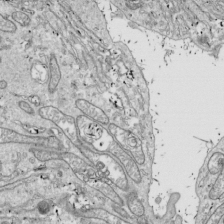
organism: Drosophila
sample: Cell division; meiosis; drosophila spermatocytes